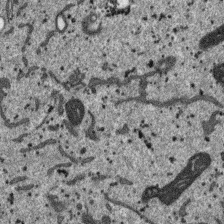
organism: Human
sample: Lung epithelial cells infected with SARS-CoV-2